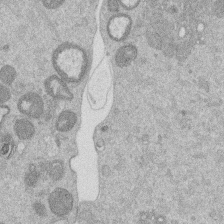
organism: Mouse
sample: Dividing mouse embryo 1 cell stage